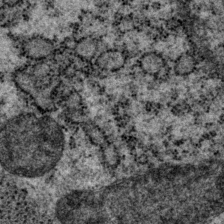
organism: P. pacificus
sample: Pharynx